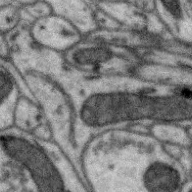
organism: Zebra finch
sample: Brain